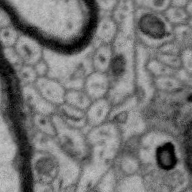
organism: Zebra finch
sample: Brain